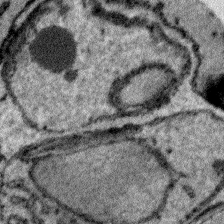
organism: Plasmodium falciparum